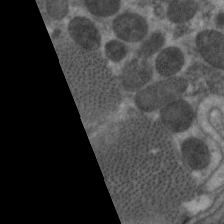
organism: C. elegans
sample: Pharynx